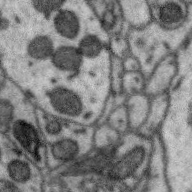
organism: Zebra finch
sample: Brain